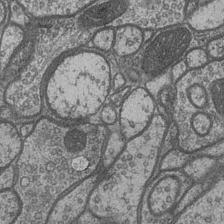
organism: Drosophila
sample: Optic medulla